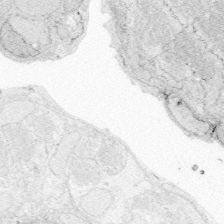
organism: Zebrafish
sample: Whole-Brain